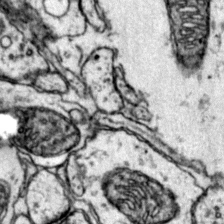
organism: Mouse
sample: Primary visual cortex